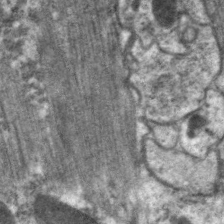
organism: C. elegans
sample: Pharynx